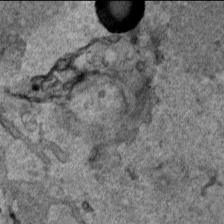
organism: Human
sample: Mitochondria in HCT116 cells